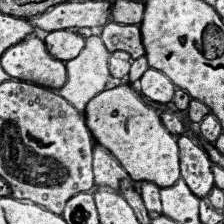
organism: Human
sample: Temporal Lobe